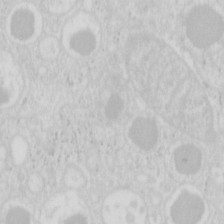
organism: Mouse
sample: Pancreas